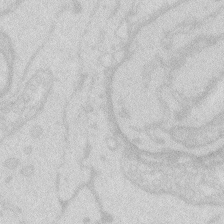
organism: Zebrafish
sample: Macrophage